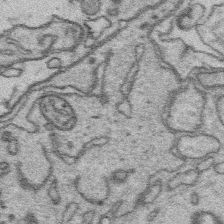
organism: Platynereis dumerilii